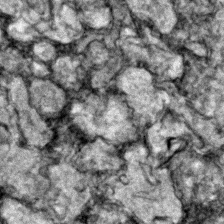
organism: Zebrafish